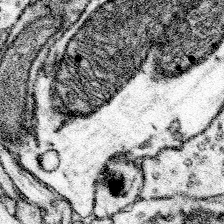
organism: Mouse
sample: Somatosensory cortex neuropil